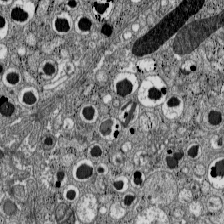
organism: C57BL Mouse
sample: Pancreatic islet